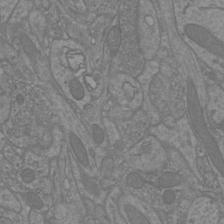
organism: Mouse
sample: Cortical neurons